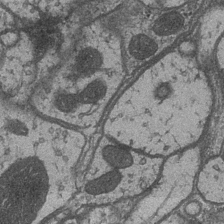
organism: Drosophila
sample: Optic medulla